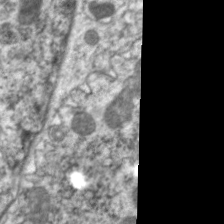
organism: C. elegans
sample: Pharynx